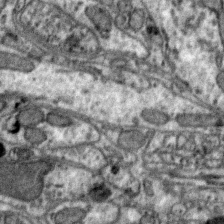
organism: Zebra finch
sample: Brain